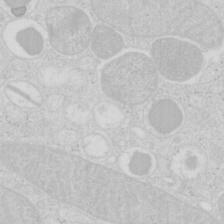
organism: Mouse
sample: Pancreas